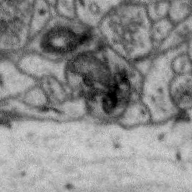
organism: Zebra finch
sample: Brain